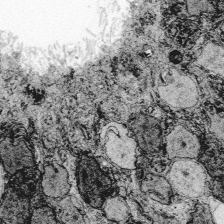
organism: Zebrafish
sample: Whole-Brain